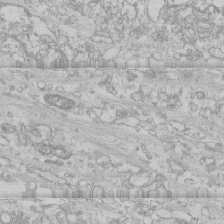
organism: Human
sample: CRL-1474